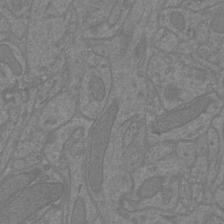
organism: Mouse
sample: Cortical neurons